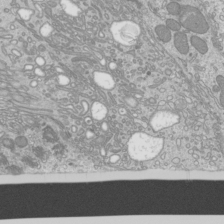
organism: Mouse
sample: Cilia; mouse epididymis